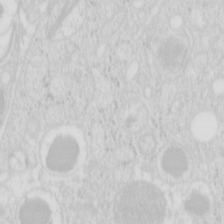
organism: Mouse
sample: Pancreas